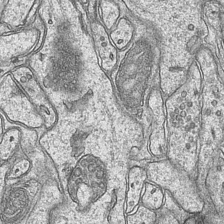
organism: Mouse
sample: CA1 Hippocampus